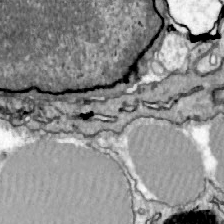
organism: Zebrafish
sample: Actinotrichia fibers